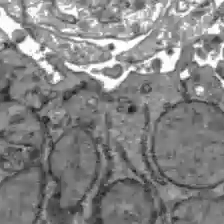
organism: C57BL Mouse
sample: Liver